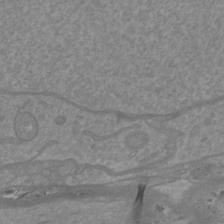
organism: Mouse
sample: Cortical neurons